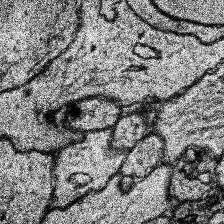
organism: Human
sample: Temporal Lobe